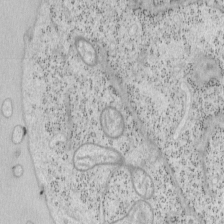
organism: Mouse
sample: OT-I killer T cells with ID8 ovarian cancer cells